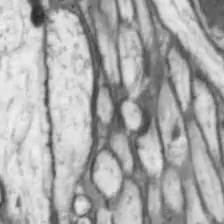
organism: Drosophila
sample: Optic lobe